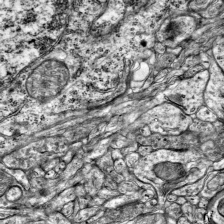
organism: Mouse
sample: Visual Cortex